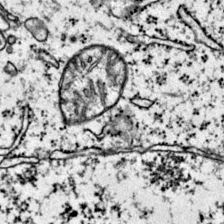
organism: Mouse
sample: Primary visual cortex